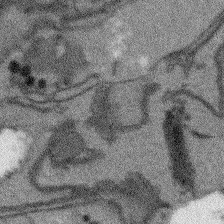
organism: Arabidopsis thaliana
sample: Root tip